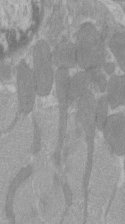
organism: C57BL Mouse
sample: Tibialis anterior muscle cell